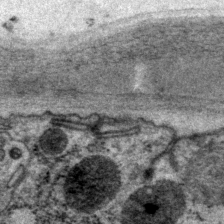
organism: P. pacificus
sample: Pharynx